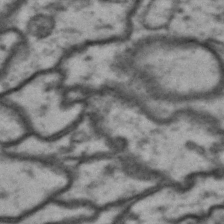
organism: Drosophila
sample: Brain